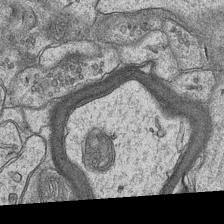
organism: Mouse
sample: CA1 Hippocampus